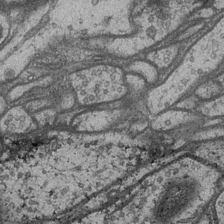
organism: Drosophila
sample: Optic medulla